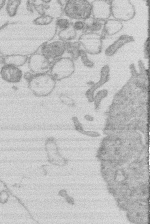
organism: Human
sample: Macrophage cells